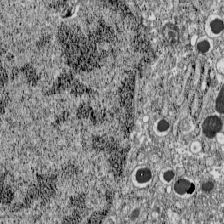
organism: C57BL Mouse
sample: Pancreatic islet